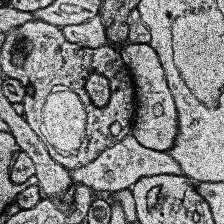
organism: Human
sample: Temporal Lobe